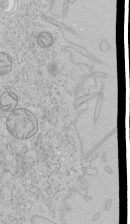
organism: Human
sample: Mitochondria in HCT116 cells